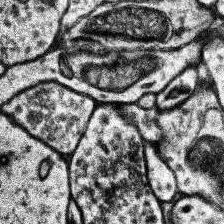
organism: Human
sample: Temporal Lobe